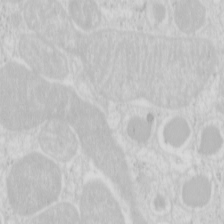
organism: Mouse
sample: Pancreas